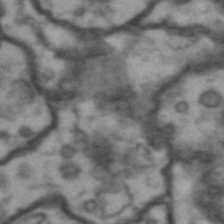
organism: Drosophila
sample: Brain